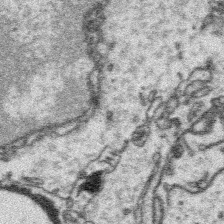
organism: Platynereis dumerilii